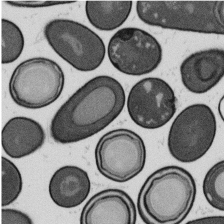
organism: B. subtilis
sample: Bacterial spore